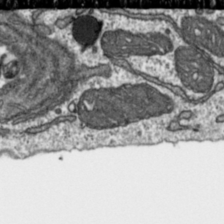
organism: Toxoplasma gondii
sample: Parasites in a vacuole inside a host cell